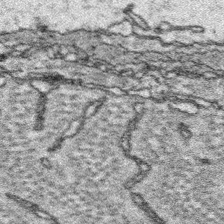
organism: Platynereis dumerilii